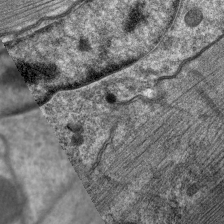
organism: C. elegans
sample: Pharynx